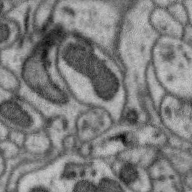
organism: Zebra finch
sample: Brain